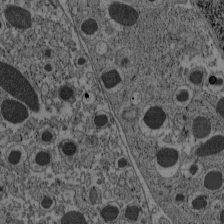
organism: C57BL Mouse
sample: Pancreatic islet